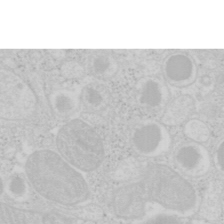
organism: Mouse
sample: Pancreas